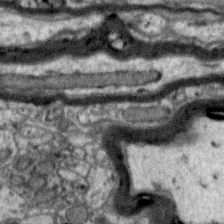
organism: Zebra finch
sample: Brain